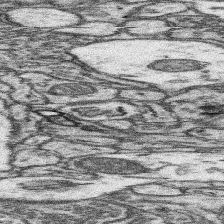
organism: Mouse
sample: Somatosensory cortex neuropil